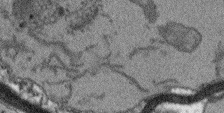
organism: Arabidopsis thaliana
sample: Root tip